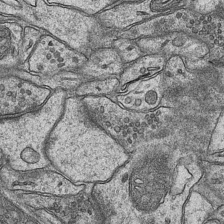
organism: Mouse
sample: CA1 Hippocampus